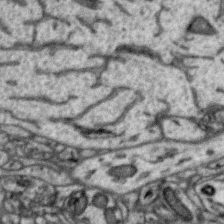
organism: Zebra finch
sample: Brain